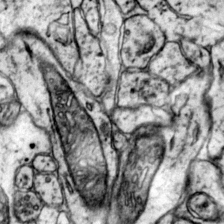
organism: Mouse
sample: Primary visual cortex